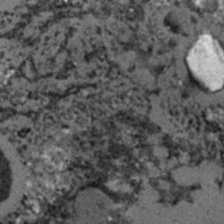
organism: C. elegans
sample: C. elegans embryo